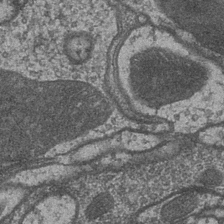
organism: Drosophila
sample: Optic medulla